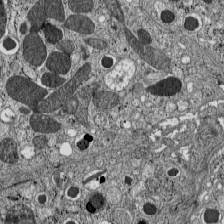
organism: C57BL Mouse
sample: Pancreatic islet